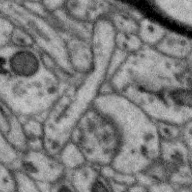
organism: Zebra finch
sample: Brain